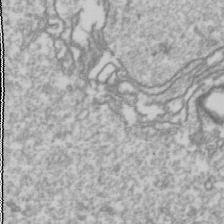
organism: Drosophila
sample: Cell division; meiosis; drosophila spermatocytes